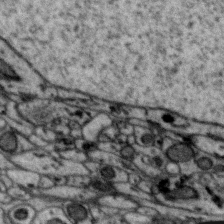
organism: Zebra finch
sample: Brain